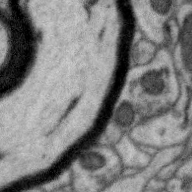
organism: Zebra finch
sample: Brain